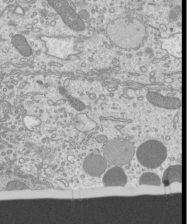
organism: Mouse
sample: Cilia; mouse epididymis